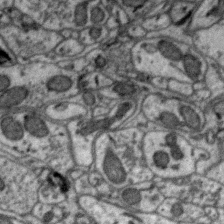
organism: Zebra finch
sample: Brain